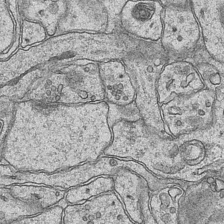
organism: Mouse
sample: CA1 Hippocampus